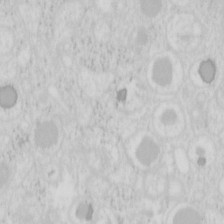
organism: Mouse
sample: Pancreas